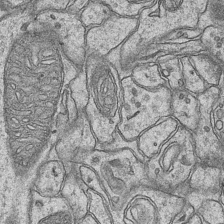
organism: Mouse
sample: CA1 Hippocampus